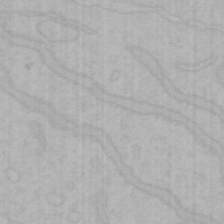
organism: Mouse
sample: Choroid plexus